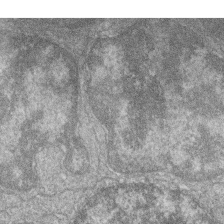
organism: Zebrafish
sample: Cilia; retinal pigment epithelium